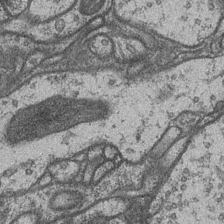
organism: Drosophila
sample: Optic medulla